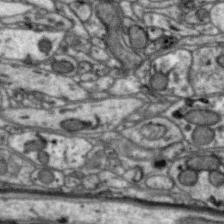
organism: Zebra finch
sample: Brain